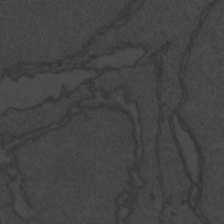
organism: Zebrafish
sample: Macrophage infected with Toxoplasma gondii